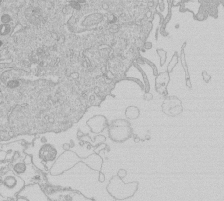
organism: Human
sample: Macrophage cells